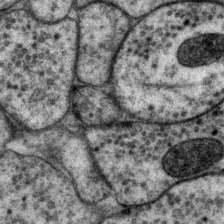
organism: P. pacificus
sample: Pharynx